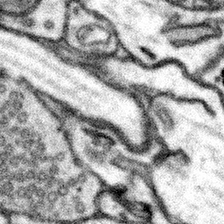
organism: Mouse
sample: Somatosensory cortex neuropil